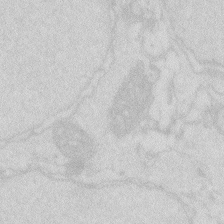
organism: Zebrafish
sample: Macrophage